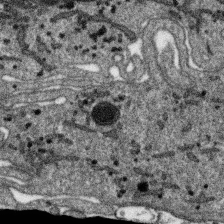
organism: Human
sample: Lung epithelial cells infected with SARS-CoV-2